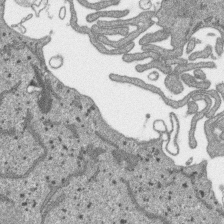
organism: Human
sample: Lung epithelial cells infected with SARS-CoV-2